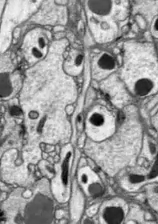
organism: Drosophila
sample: Optic lobe